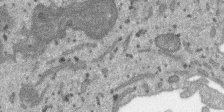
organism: Human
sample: Lung epithelial cells infected with SARS-CoV-2